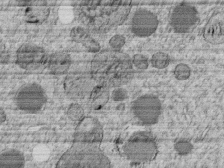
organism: C. elegans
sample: C. elegans embryo early stage